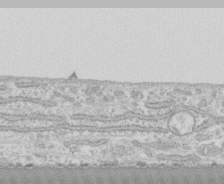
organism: Human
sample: CRL-1474